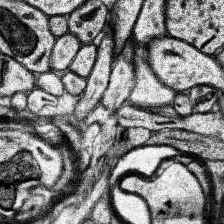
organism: Human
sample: Temporal Lobe